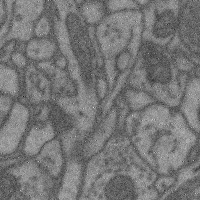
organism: Mouse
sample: Cerebral cortex